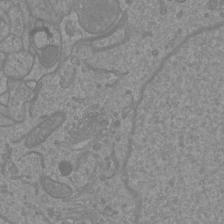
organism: Mouse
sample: Cortical neurons